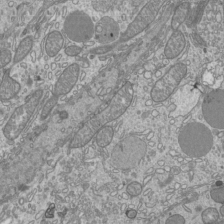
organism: Mouse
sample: Cilia; mouse epididymis